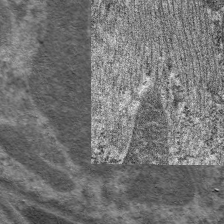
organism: C. elegans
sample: Pharynx